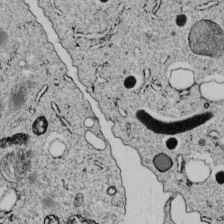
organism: C. elegans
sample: C. elegans embryo early stage